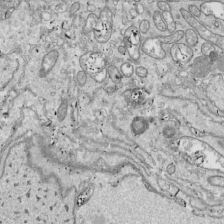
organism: Drosophila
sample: Cell division; meiosis; drosophila spermatocytes